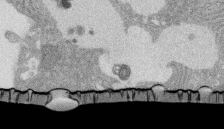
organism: Rat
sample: Salivary granule